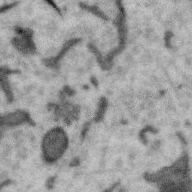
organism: Zebra finch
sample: Brain